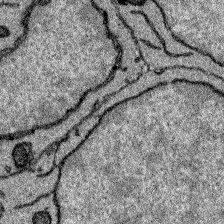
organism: Zebrafish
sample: Larval olfactory bulb